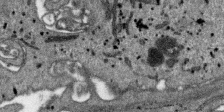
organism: Human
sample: Lung epithelial cells, uninfected (mock) control